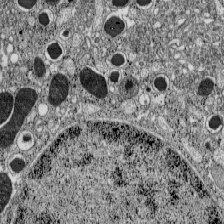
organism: C57BL Mouse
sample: Pancreatic islet